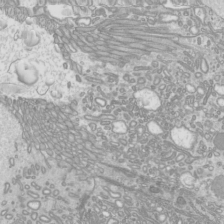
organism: Mouse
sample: Cilia; mouse epididymis